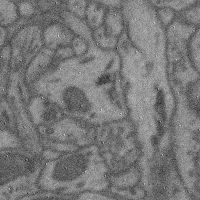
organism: Mouse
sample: Cerebral cortex